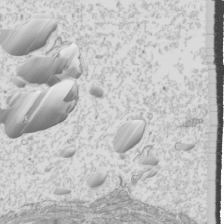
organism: Mouse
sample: Cilia; mouse epididymis